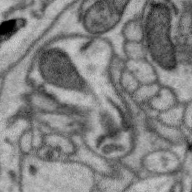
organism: Zebra finch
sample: Brain